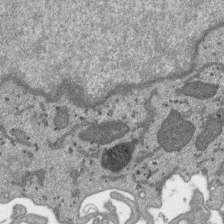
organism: Human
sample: Lung epithelial cells infected with SARS-CoV-2